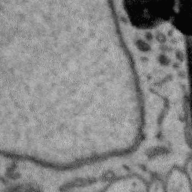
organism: Zebra finch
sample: Brain